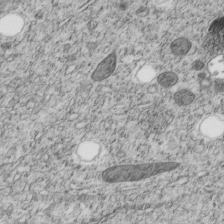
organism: C. elegans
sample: C. elegans embryo early stage